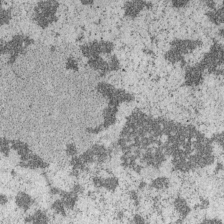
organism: Mouse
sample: OT-I killer T cells with ID8 ovarian cancer cells